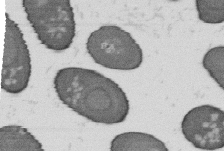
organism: B. subtilis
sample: Bacterial spore